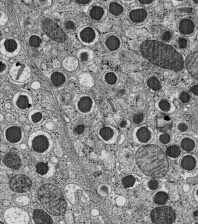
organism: C57BL Mouse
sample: Pancreatic islet